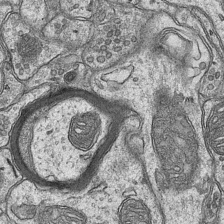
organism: Mouse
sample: CA1 Hippocampus